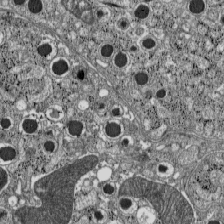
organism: C57BL Mouse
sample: Pancreatic islet